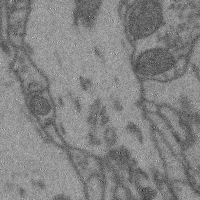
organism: Mouse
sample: Cerebral cortex